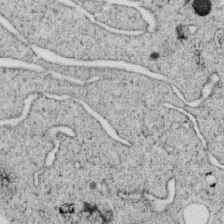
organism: C. elegans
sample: C. elegans oocyte; sperm cells